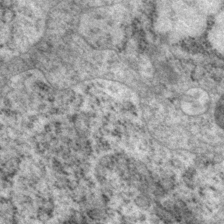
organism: P. pacificus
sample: Pharynx